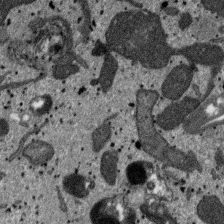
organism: Human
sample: Lung epithelial cells, uninfected (mock) control